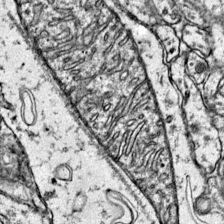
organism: Mouse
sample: Primary visual cortex